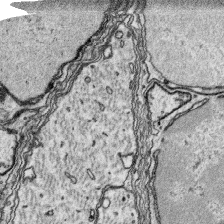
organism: Platynereis dumerilii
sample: Parapodia